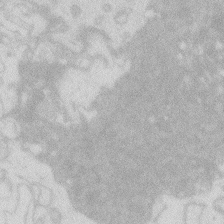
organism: Zebrafish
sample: Macrophage